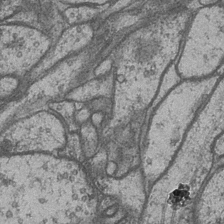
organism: Drosophila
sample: Optic medulla